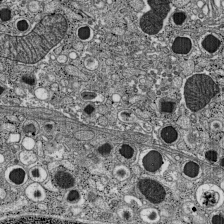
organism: C57BL Mouse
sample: Pancreatic islet